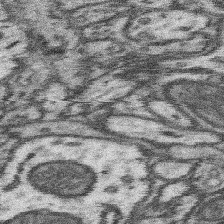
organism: Mouse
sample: Somatosensory cortex neuropil